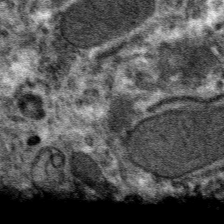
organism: Mouse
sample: Mouse hepatocytes